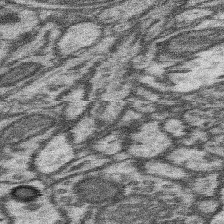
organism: Mouse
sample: Somatosensory cortex neuropil